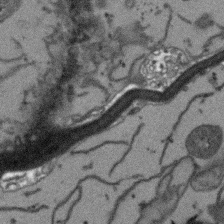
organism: Arabidopsis thaliana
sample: Root tip